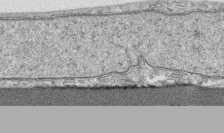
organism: Human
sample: CRL-1474